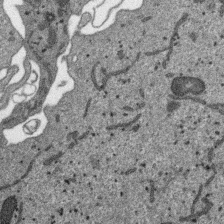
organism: Human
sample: Lung epithelial cells infected with SARS-CoV-2